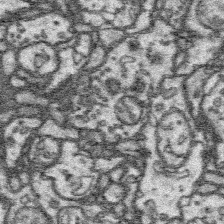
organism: Platynereis dumerilii